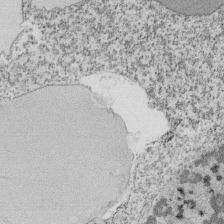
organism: Tetrahymena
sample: Cilia in tetrahymena